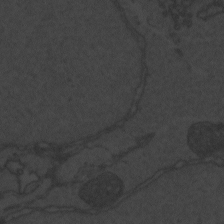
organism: Zebrafish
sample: Macrophage infected with Toxoplasma gondii